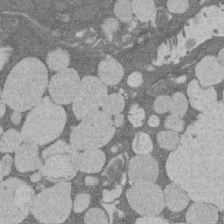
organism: Rat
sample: Salivary granule